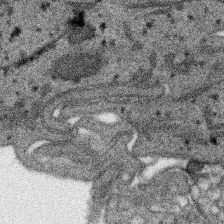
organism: Human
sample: Lung epithelial cells infected with SARS-CoV-2